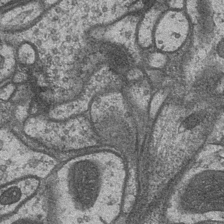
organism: Drosophila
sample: Optic medulla